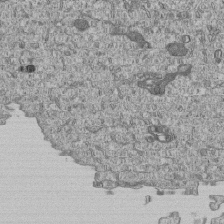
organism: Human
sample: MDA-MB-231 cells